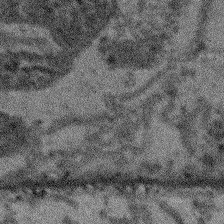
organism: Arabidopsis thaliana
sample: Root tip